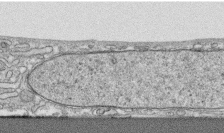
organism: Human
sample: CRL-1474